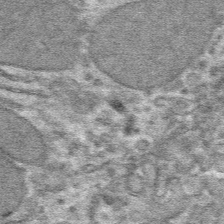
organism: Mouse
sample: Mouse hepatocytes